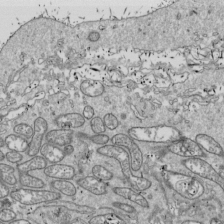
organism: Drosophila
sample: Cell division; meiosis; drosophila spermatocytes